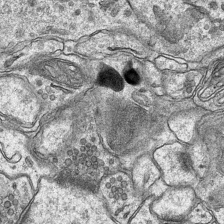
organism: Mouse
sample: CA1 Hippocampus